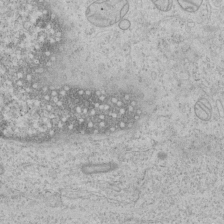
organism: Human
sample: Mitochondria in HCT116 cells